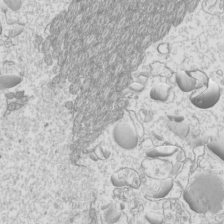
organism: Mouse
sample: Cilia; mouse epididymis